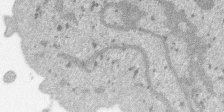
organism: Human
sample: Lung epithelial cells infected with SARS-CoV-2